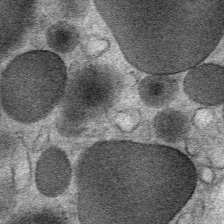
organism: Mouse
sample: Mouse Salivary gland